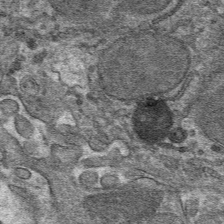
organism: Mouse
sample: Mouse hepatocytes